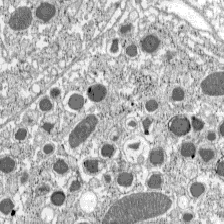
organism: C57BL Mouse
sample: Pancreatic islet